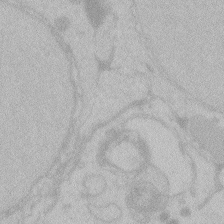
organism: Zebrafish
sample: Macrophage infected with Toxoplasma gondii